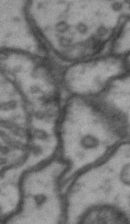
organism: Drosophila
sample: Brain